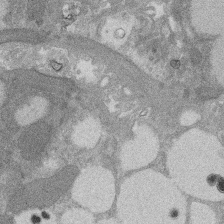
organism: Rat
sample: Salivary granule